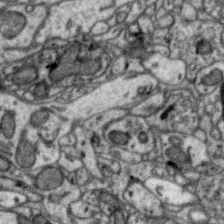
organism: Zebra finch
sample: Brain